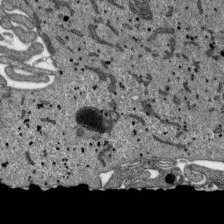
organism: Human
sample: Lung epithelial cells, uninfected (mock) control